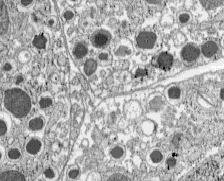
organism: C57BL Mouse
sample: Pancreatic islet